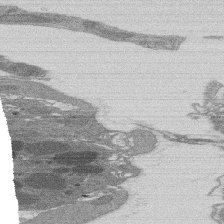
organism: Rat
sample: Salivary granule